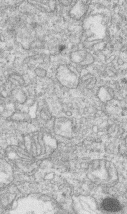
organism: Human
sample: HeLa cell HIV synapse